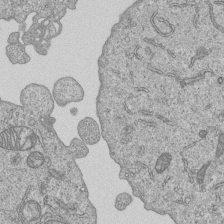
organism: Human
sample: MDA-MB-231 cells